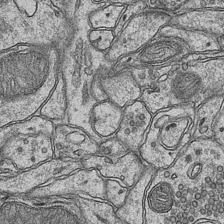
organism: Mouse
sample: CA1 Hippocampus